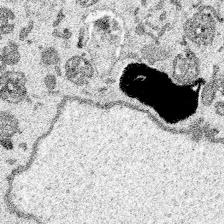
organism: Spongilla lacustris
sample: Multiple